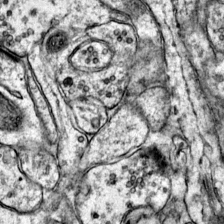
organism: Mouse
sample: Primary visual cortex